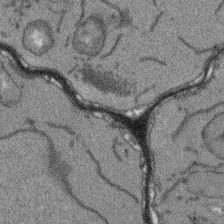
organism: Arabidopsis thaliana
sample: Root tip